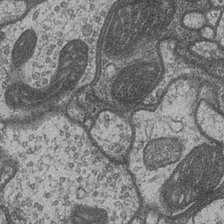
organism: Drosophila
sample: Optic medulla